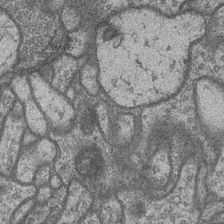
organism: Drosophila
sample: Optic medulla